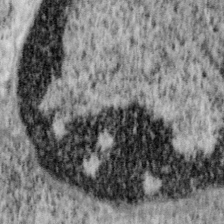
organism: Mouse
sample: OT-I killer T cells with ID8 ovarian cancer cells